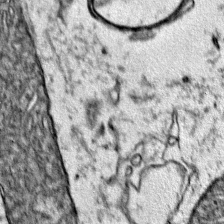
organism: Mouse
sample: Primary visual cortex